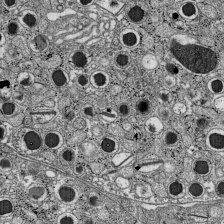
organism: C57BL Mouse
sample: Pancreatic islet